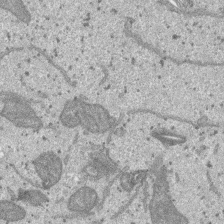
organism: Human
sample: Lung epithelial cells infected with SARS-CoV-2